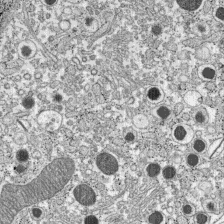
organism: C57BL Mouse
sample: Pancreatic islet